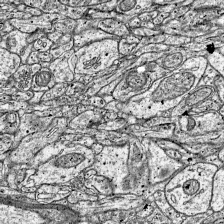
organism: Mouse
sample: Visual Cortex